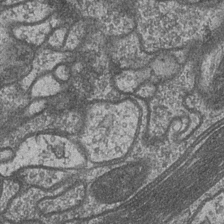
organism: Drosophila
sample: Optic medulla